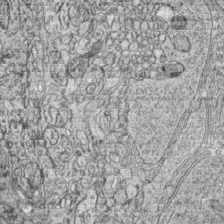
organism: Zebrafish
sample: synaptic ribbons in rod cells and cone cells